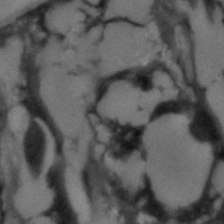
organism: C. elegans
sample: C. elegans embryo